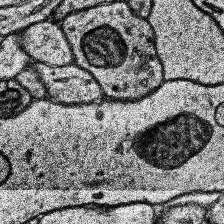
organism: Human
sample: Temporal Lobe